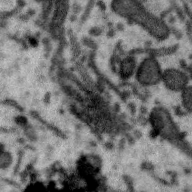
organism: Zebra finch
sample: Brain